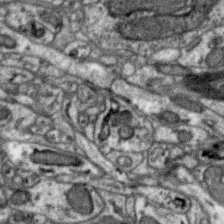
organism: Zebra finch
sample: Brain